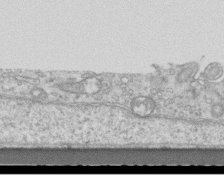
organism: Mouse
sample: Centriole in ependymal cells